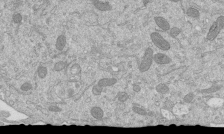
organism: Mouse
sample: ED-1 cell nuclei; centrioles